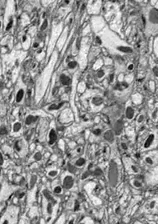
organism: Drosophila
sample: Optic lobe